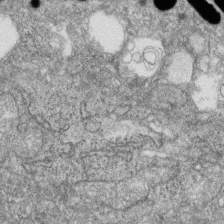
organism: Zebrafish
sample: Cilia; retinal pigment epithelium